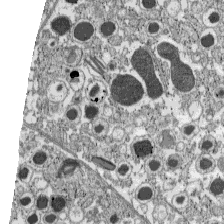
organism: C57BL Mouse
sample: Pancreatic islet